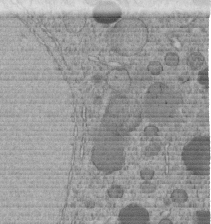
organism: C. elegans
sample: C. elegans embryo early stage